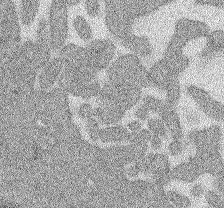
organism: Human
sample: HeLa cells